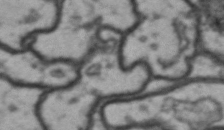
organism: Drosophila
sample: Brain